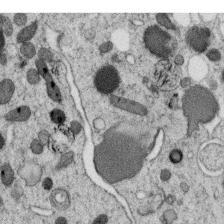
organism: C. elegans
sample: C. elegans oocyte; sperm cells